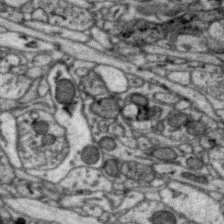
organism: Zebra finch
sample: Brain